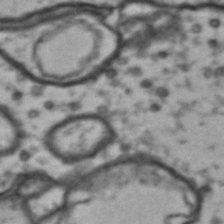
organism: Drosophila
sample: Brain